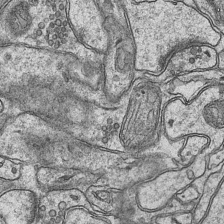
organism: Mouse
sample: CA1 Hippocampus